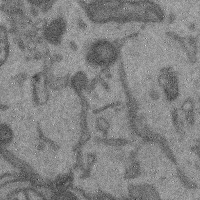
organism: Mouse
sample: Cerebral cortex